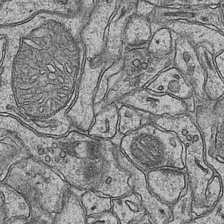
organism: Mouse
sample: CA1 Hippocampus